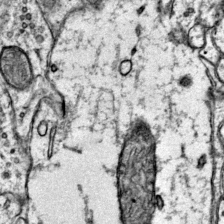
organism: Mouse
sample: Primary visual cortex